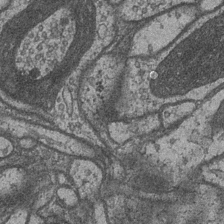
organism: Drosophila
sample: Optic medulla